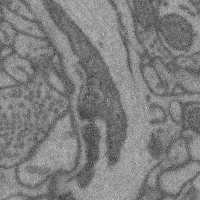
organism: Mouse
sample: Cerebral cortex